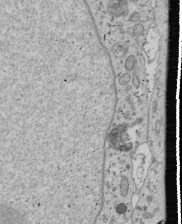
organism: Human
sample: Mitochondria in U2OS cells